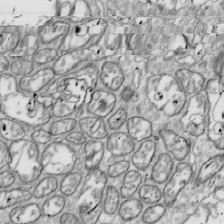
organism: Drosophila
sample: Cell division; meiosis; drosophila spermatocytes